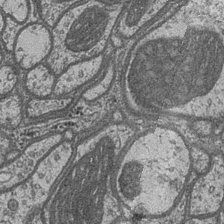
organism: Drosophila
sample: Optic medulla